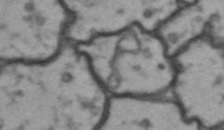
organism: Drosophila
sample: Brain